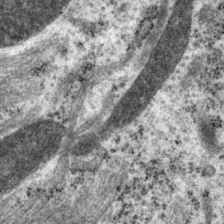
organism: P. pacificus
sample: Pharynx